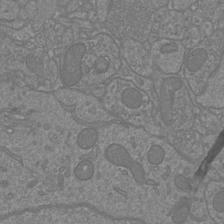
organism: Mouse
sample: Cortical neurons